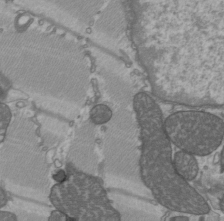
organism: C57BL Mouse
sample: Heart